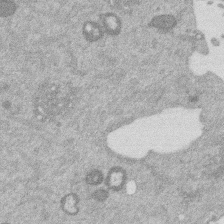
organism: Mouse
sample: Dividing mouse embryo 1 cell stage